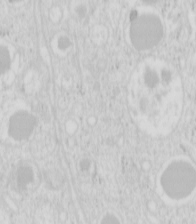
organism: Mouse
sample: Pancreas